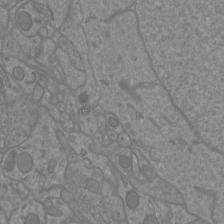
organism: Mouse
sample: Cortical neurons